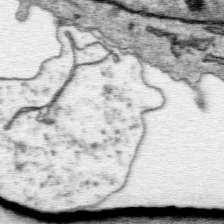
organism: Human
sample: HeLa cells